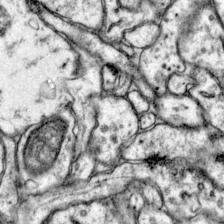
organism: Mouse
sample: Primary visual cortex